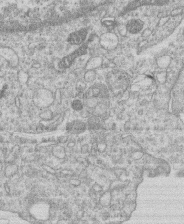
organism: Human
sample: Macrophage cells